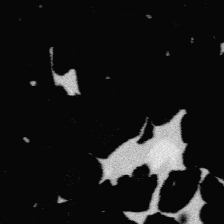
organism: Platynereis dumerilii